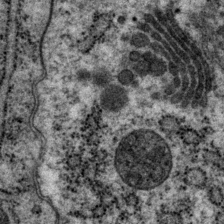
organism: P. pacificus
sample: Pharynx